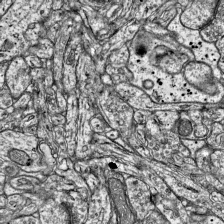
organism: Mouse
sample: Visual Cortex